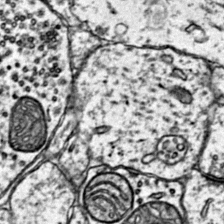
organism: Mouse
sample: Primary visual cortex